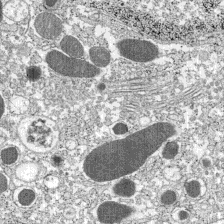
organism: C57BL Mouse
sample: Pancreatic islet